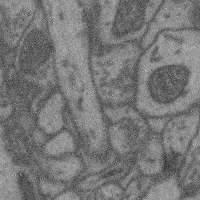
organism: Mouse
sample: Cerebral cortex